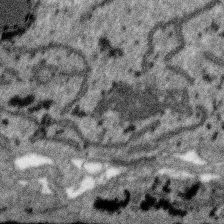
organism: Human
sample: Lung epithelial cells infected with SARS-CoV-2